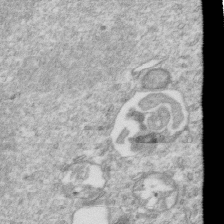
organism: Mouse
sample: Activated OT-1 CD8+ T cells